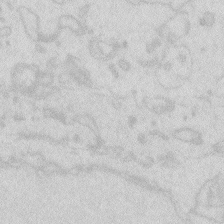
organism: Zebrafish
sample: Macrophage